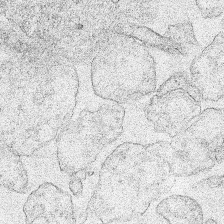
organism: Human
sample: Mitochondria in HCT116 cells